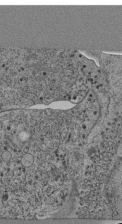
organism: C. elegans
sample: C. elegans pharynx